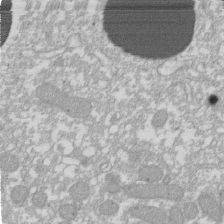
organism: Xenopus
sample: Cilia; centrioles in frog embryo cells